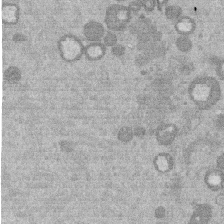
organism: Mouse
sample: Dividing mouse embryo 1 cell stage